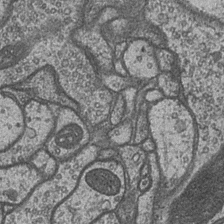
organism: Drosophila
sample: Optic medulla